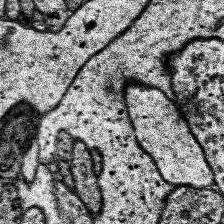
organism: Human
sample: Temporal Lobe